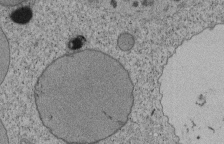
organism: Tetrahymena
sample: Cilia in tetrahymena